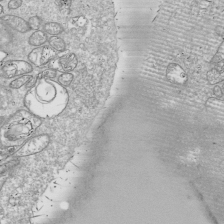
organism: Drosophila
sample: Cell division; meiosis; drosophila spermatocytes